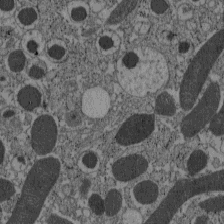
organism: C57BL Mouse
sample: Pancreatic islet